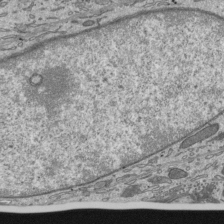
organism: Mouse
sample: Mouse epididymis efferent ductule cilia